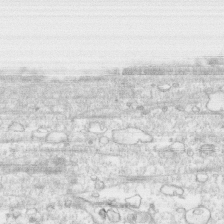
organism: Human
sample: CRL-1474